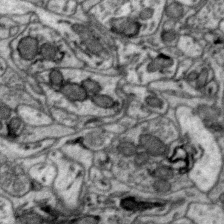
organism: Zebra finch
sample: Brain